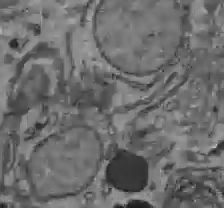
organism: C57BL Mouse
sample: Liver